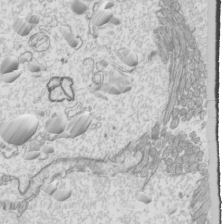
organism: Mouse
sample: Cilia; mouse epididymis